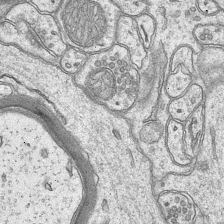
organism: Mouse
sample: CA1 Hippocampus